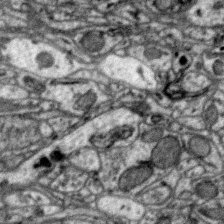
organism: Zebra finch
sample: Brain